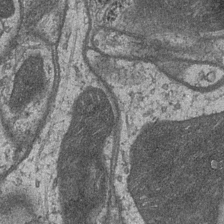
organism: Drosophila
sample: Optic medulla